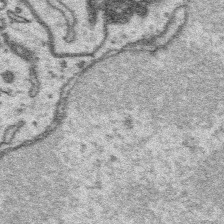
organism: Platynereis dumerilii